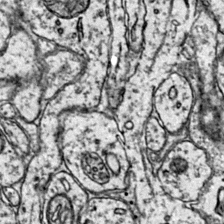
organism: Mouse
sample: Primary visual cortex